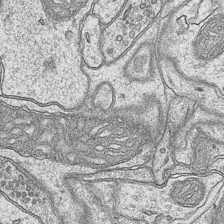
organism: Mouse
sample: CA1 Hippocampus